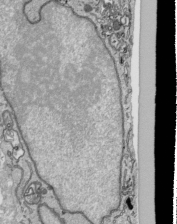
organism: Human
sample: Mitochondria in HCT116 cells